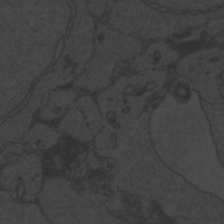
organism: Zebrafish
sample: Macrophage infected with Toxoplasma gondii